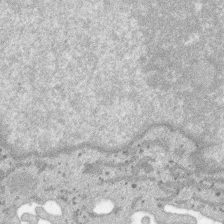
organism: Human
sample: Lung epithelial cells infected with SARS-CoV-2